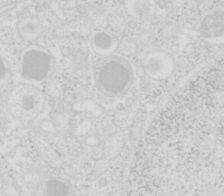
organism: Mouse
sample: Pancreas